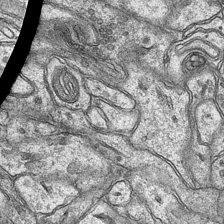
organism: Mouse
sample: CA1 Hippocampus